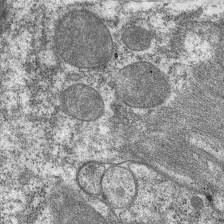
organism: C. elegans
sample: Pharynx